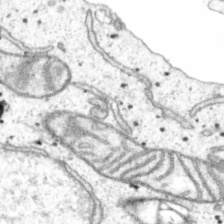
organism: Human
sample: HeLa cells